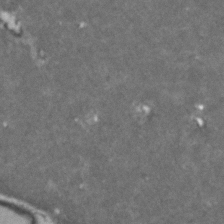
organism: Zebrafish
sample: Zebrafish embryo